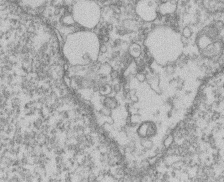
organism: Mouse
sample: T cell stromal cell synapse